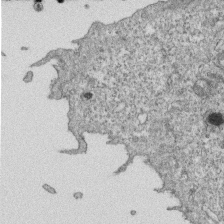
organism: Human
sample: HeLa cell HIV synapse